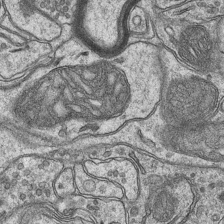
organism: Mouse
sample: CA1 Hippocampus